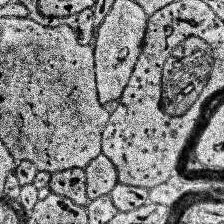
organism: Human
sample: Temporal Lobe